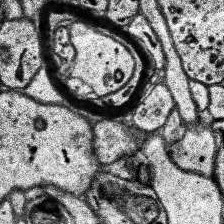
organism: Human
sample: Temporal Lobe